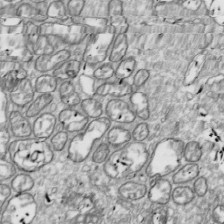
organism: Drosophila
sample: Cell division; meiosis; drosophila spermatocytes